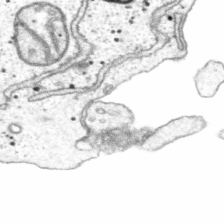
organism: Human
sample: HeLa cells